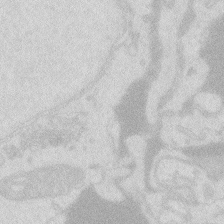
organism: Zebrafish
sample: Macrophage